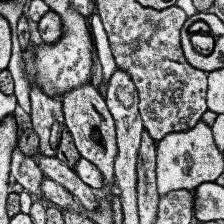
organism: Human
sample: Temporal Lobe